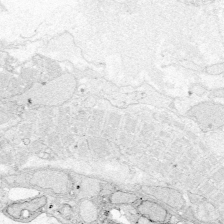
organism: Zebrafish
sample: Whole-Brain